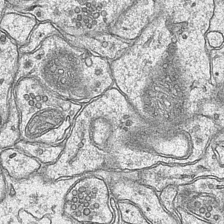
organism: Mouse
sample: CA1 Hippocampus